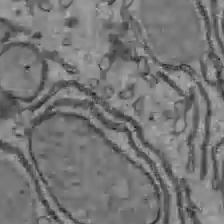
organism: C57BL Mouse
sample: Liver